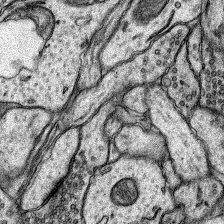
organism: Rat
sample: Hippocampus